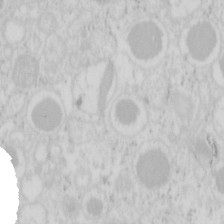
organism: Mouse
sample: Pancreas